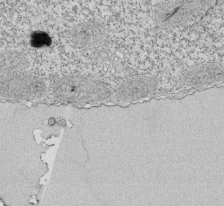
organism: Tetrahymena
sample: Cilia in tetrahymena